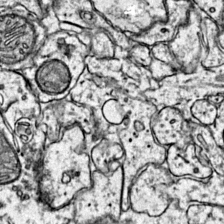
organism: Mouse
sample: Primary visual cortex